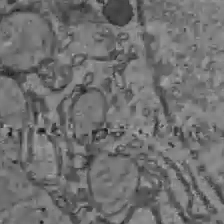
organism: C57BL Mouse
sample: Liver